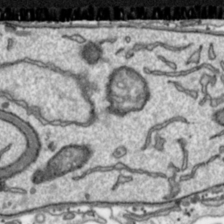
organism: Toxoplasma gondii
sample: Parasites in a vacuole inside a host cell